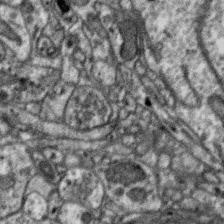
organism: Zebra finch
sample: Brain